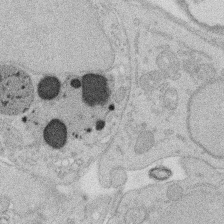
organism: Rat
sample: Salivary granule